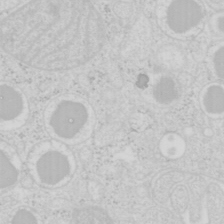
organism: Mouse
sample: Pancreas